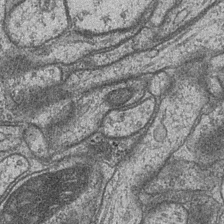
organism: Drosophila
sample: Optic medulla